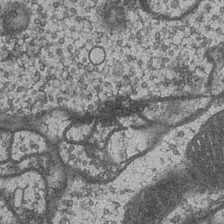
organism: Drosophila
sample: Optic medulla